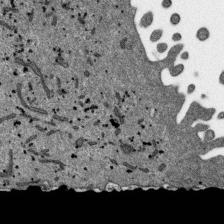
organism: Human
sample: Lung epithelial cells, uninfected (mock) control